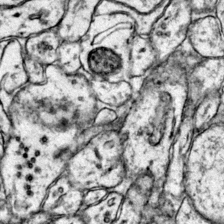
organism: Mouse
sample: Primary visual cortex